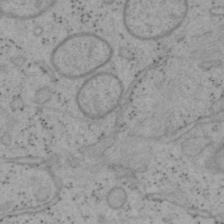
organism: Human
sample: HeLa cells